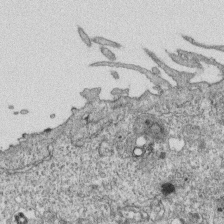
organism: Human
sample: HeLa cell HIV synapse